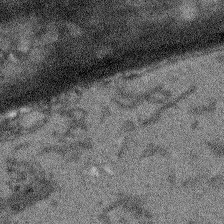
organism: Arabidopsis thaliana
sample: Root tip